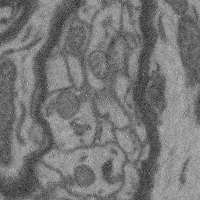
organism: Mouse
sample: Cerebral cortex